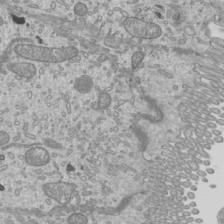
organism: Mouse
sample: Cilia; mouse epididymis